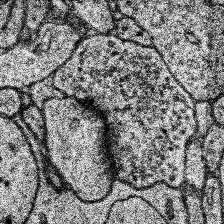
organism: Human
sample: Temporal Lobe